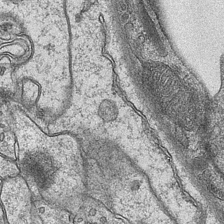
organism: Mouse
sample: CA1 Hippocampus